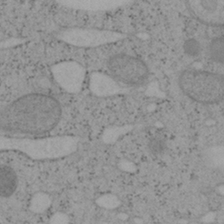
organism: Mouse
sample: OT-I killer T cells with ID8 ovarian cancer cells